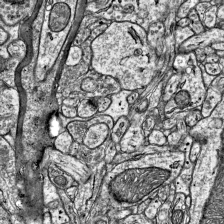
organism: Mouse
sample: Visual Cortex